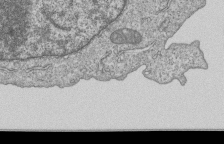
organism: Human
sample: MDA-MB-231 cells